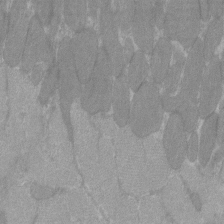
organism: C57BL Mouse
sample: Tibialis anterior muscle cell